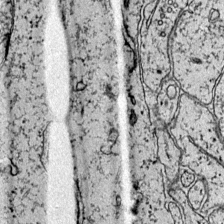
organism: Mouse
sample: Primary visual cortex